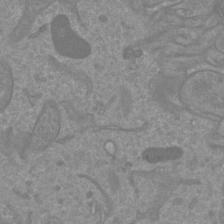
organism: Mouse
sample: Cortical neurons